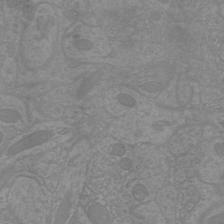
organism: Mouse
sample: Cortical neurons